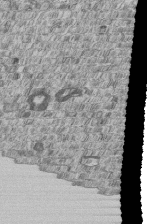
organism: Human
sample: MDA-MB-231 cells